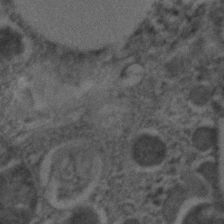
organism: C. elegans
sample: C. elegans embryo